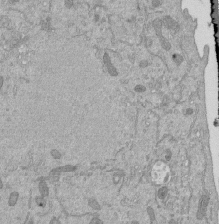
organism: Mouse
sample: ED-1 cell nuclei; centrioles